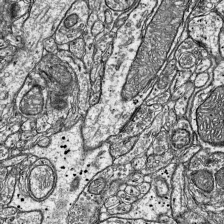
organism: Mouse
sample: Visual Cortex